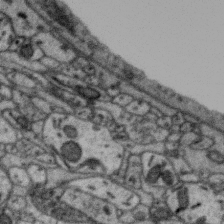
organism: Zebra finch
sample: Brain